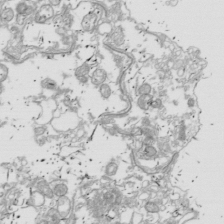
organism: Drosophila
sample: Cell division; meiosis; drosophila spermatocytes